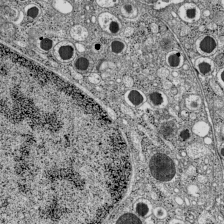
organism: C57BL Mouse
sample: Pancreatic islet